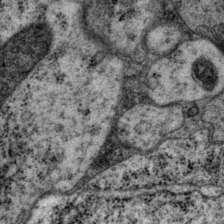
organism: P. pacificus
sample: Pharynx